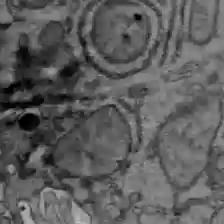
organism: C57BL Mouse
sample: Liver